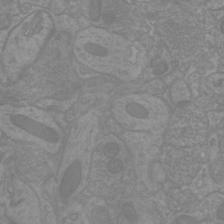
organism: Mouse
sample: Cortical neurons